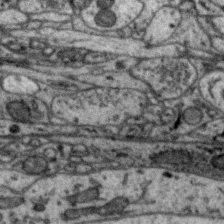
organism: Zebra finch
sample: Brain